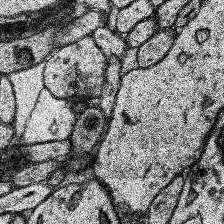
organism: Human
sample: Temporal Lobe